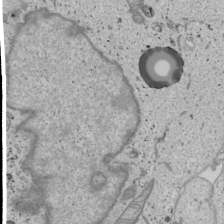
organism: Human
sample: Mitochondria in U2OS cells